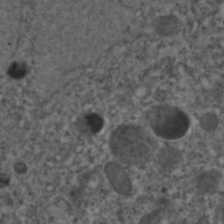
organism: C. elegans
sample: C. elegans embryo